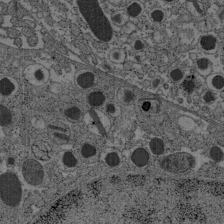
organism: C57BL Mouse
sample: Pancreatic islet